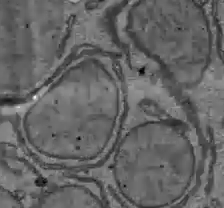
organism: C57BL Mouse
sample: Liver